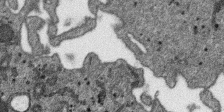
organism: Human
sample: Lung epithelial cells infected with SARS-CoV-2